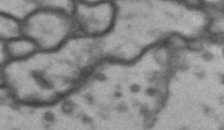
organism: Drosophila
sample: Brain